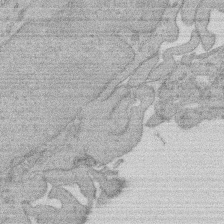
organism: Rat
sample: Salivary granule